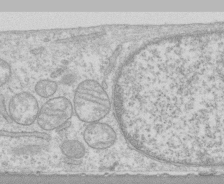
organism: Human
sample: CRL-1474